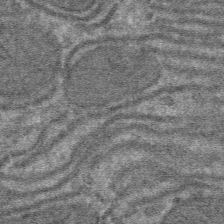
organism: Mouse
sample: Mouse hepatocytes